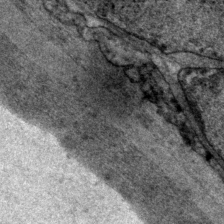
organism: P. pacificus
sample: Pharynx